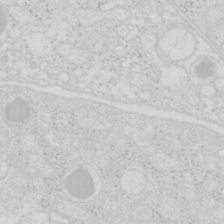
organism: Mouse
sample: Pancreas